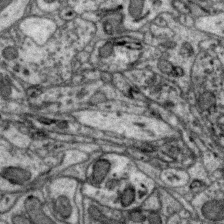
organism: Zebra finch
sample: Brain